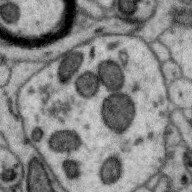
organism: Zebra finch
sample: Brain